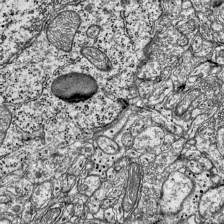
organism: Mouse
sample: Visual Cortex